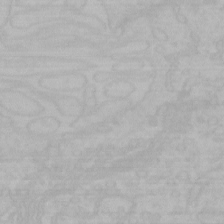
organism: Mouse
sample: Choroid plexus